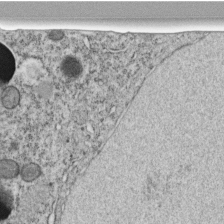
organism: C. elegans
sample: C. elegans embryo early stage